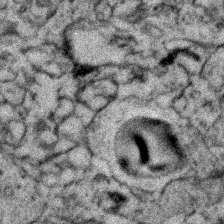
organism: Zebrafish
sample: Zebrafish embryo